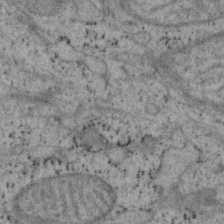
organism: Human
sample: HeLa cells